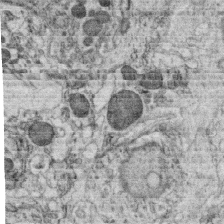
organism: C. elegans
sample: C. elegans oocyte; sperm cells